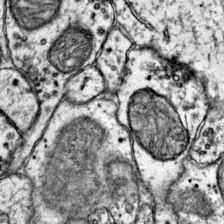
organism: Mouse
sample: Primary visual cortex